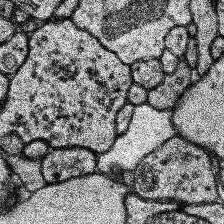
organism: Human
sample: Temporal Lobe